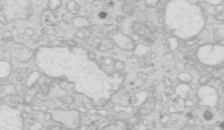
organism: Mouse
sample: Multiciliated cells